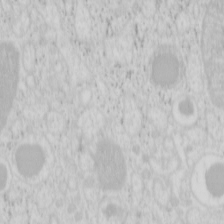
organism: Mouse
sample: Pancreas